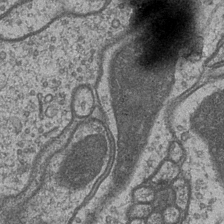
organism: Drosophila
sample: Optic medulla